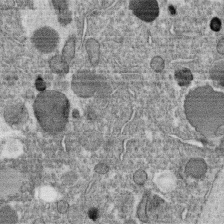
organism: C. elegans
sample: C. elegans oocyte; sperm cells